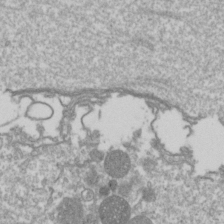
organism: Drosophila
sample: Cell division; meiosis; drosophila spermatocytes